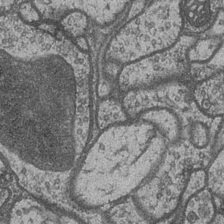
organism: Drosophila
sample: Optic medulla